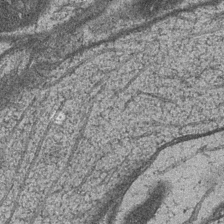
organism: Drosophila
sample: Optic medulla